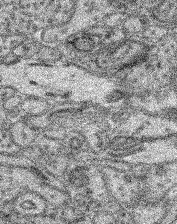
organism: Mouse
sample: Retina